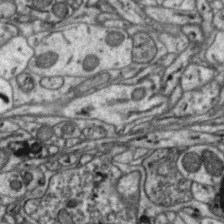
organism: Zebra finch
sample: Brain